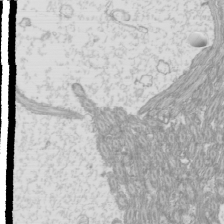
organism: Mouse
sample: Cilia; mouse epididymis